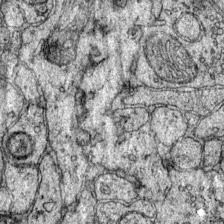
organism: Mouse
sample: Primary visual cortex